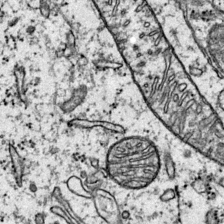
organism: Mouse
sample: Primary visual cortex